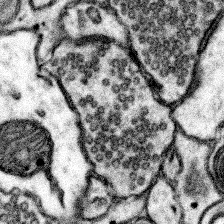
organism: Mouse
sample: Somatosensory cortex neuropil